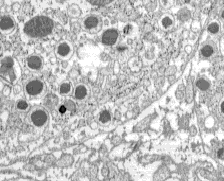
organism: C57BL Mouse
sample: Pancreatic islet